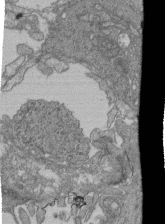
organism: Human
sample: Retinal organoid Rod and Cone cells